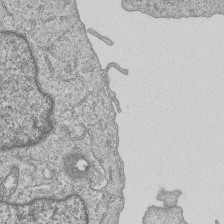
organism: Human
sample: MDA-MB-231 cells